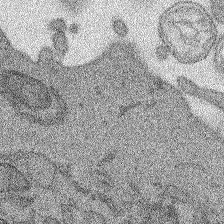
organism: Human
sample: HeLa cells